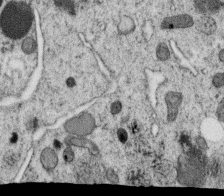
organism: C. elegans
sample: C. elegans oocyte; sperm cells